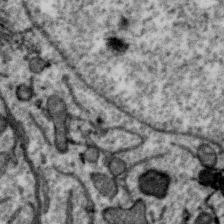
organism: Zebra finch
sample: Brain